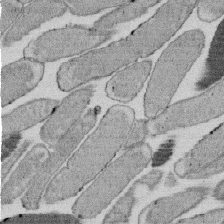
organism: E. coli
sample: Bacterial nucleoid